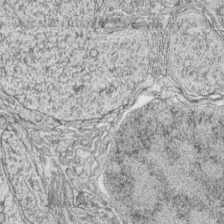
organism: Zebrafish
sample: synaptic ribbons in rod cells and cone cells